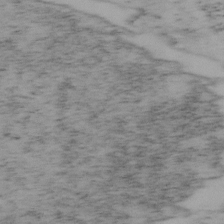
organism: Mouse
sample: OT-I killer T cells with ID8 ovarian cancer cells